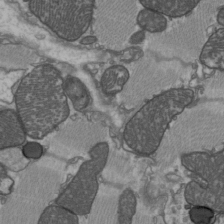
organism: C57BL Mouse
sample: Heart